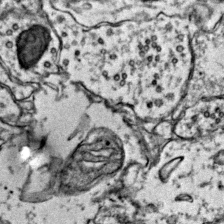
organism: Mouse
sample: Primary visual cortex